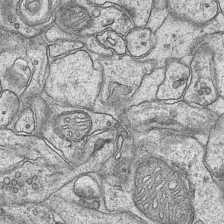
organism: Mouse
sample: CA1 Hippocampus